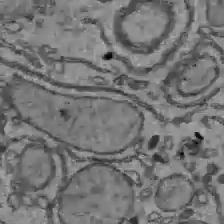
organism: C57BL Mouse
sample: Liver